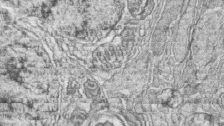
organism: Zebrafish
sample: synaptic ribbons in rod cells and cone cells